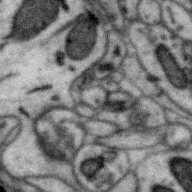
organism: Zebra finch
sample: Brain